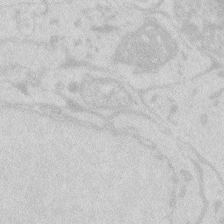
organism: Zebrafish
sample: Macrophage